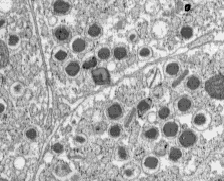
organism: C57BL Mouse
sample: Pancreatic islet